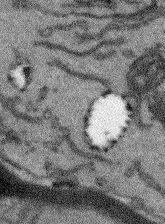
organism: Arabidopsis thaliana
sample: Root tip